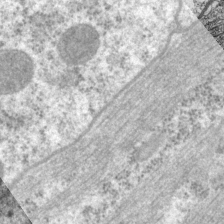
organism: P. pacificus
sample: Pharynx